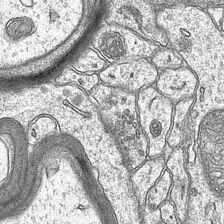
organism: Mouse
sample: CA1 Hippocampus